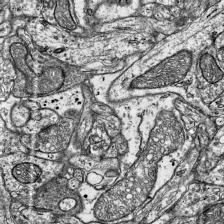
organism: Mouse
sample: Visual Cortex